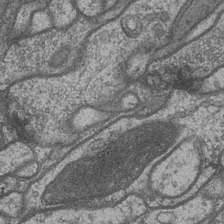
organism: Drosophila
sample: Optic medulla